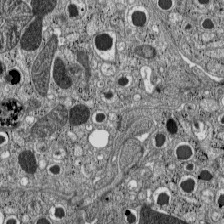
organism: C57BL Mouse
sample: Pancreatic islet